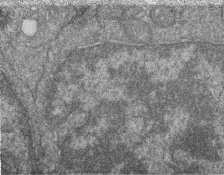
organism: Zebrafish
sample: Cilia; retinal pigment epithelium